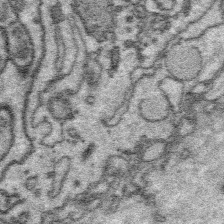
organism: Platynereis dumerilii